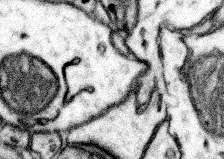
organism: Mouse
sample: Somatosensory cortex neuropil